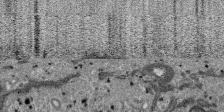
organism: Human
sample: Lung epithelial cells, uninfected (mock) control